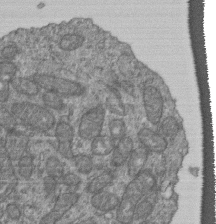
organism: Human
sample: Retinal organoid Rod and Cone cells